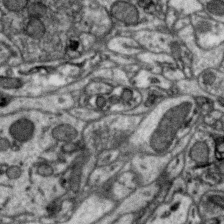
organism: Zebra finch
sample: Brain